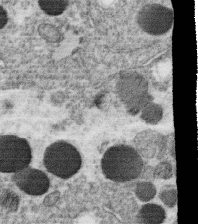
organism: C. elegans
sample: C. elegans oocyte; sperm cells